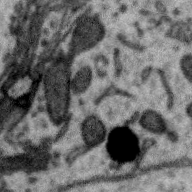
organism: Zebra finch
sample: Brain